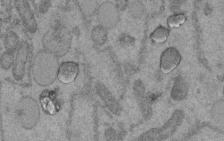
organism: C. elegans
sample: C. elegans embryo early stage